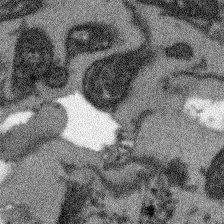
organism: Arabidopsis thaliana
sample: Root tip